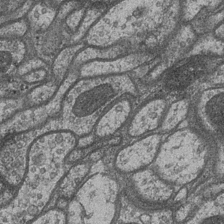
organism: Drosophila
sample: Optic medulla